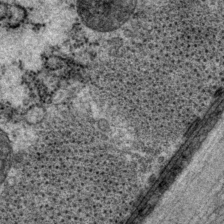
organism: P. pacificus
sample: Pharynx